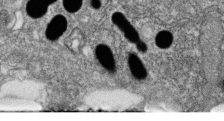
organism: Zebrafish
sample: Cilia; retinal pigment epithelium